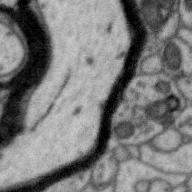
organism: Zebra finch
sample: Brain